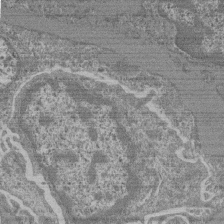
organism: Mouse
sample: Glomerulus